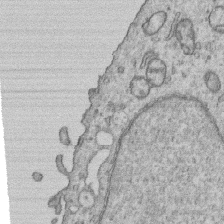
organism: Human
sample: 1205lu cells